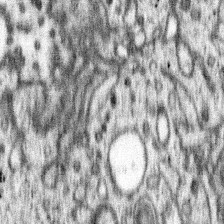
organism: Human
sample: HeLa cells